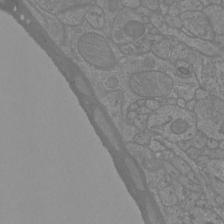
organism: Mouse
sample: Cortical neurons